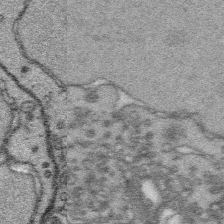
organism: Platynereis dumerilii